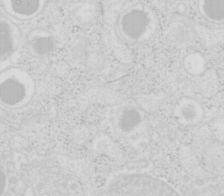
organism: Mouse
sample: Pancreas